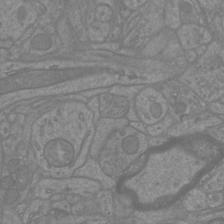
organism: Mouse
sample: Cortical neurons